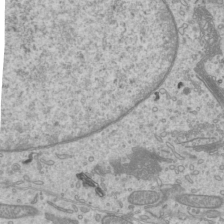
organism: Mouse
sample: Cilia; mouse epididymis